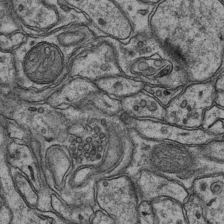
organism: Mouse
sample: CA1 Hippocampus